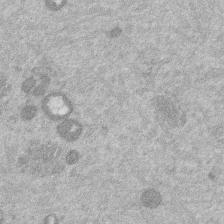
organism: Mouse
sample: Dividing mouse embryo 1 cell stage